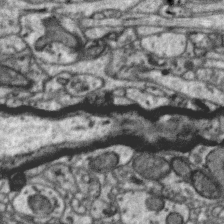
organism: Zebra finch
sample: Brain